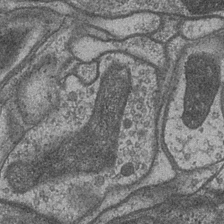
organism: Drosophila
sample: Optic medulla